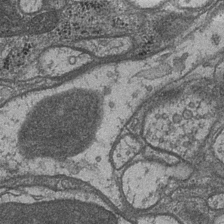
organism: Drosophila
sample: Optic medulla